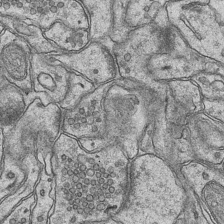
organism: Mouse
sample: CA1 Hippocampus